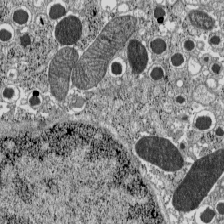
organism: C57BL Mouse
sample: Pancreatic islet